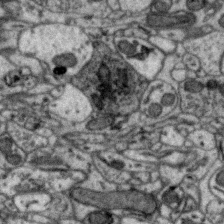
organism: Zebra finch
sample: Brain